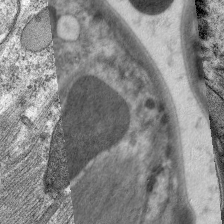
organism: C. elegans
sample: Pharynx